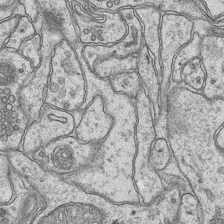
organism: Mouse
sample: CA1 Hippocampus